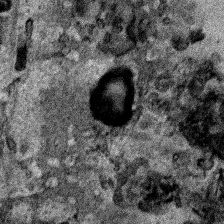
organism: Human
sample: Mitochondria in HCT116 cells